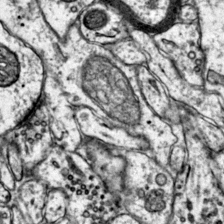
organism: Mouse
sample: Primary visual cortex